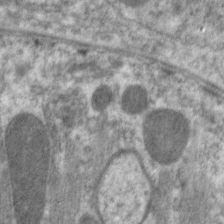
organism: C. elegans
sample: Pharynx